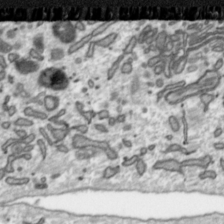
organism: Toxoplasma gondii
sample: Parasites in a vacuole inside a host cell